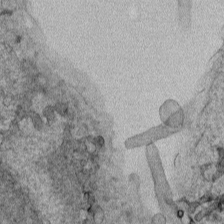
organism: Human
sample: Mitochondria in HCT116 cells